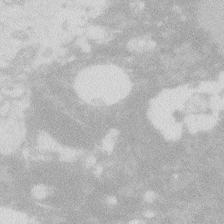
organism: Zebrafish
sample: Macrophage